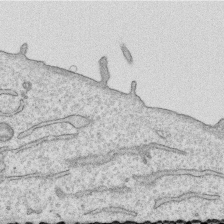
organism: Human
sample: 1205lu cells